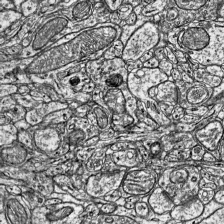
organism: Mouse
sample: Visual Cortex